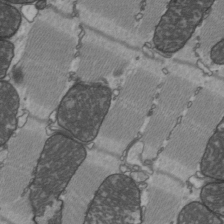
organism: C57BL Mouse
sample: Heart